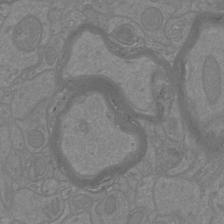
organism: Mouse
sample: Cortical neurons